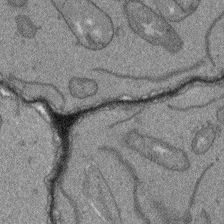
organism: Arabidopsis thaliana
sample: Root tip